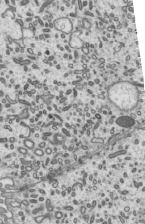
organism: Mouse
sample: Mouse epididymis efferent ductule cilia